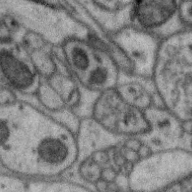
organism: Zebra finch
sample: Brain